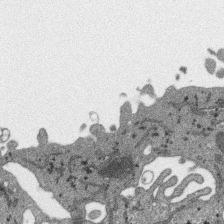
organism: Human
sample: Lung epithelial cells infected with SARS-CoV-2